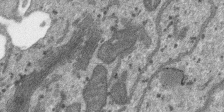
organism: Human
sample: Lung epithelial cells infected with SARS-CoV-2